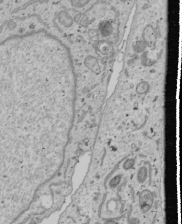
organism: Human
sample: Mitochondria in U2OS cells